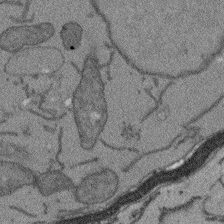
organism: Arabidopsis thaliana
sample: Root tip